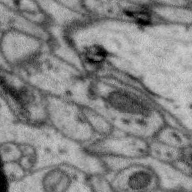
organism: Zebra finch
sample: Brain